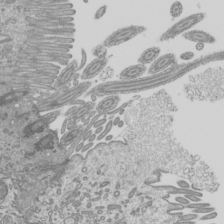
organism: Mouse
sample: Cilia; mouse epididymis